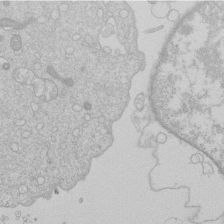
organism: Human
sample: Macrophage cells